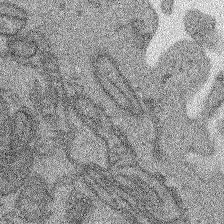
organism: Human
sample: HeLa cells